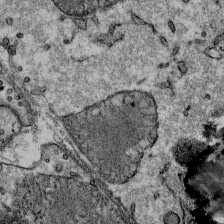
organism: Mouse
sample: Mouse Salivary gland